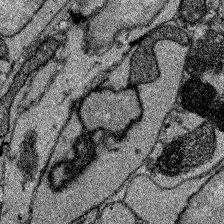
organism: Zebrafish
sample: Larval olfactory bulb